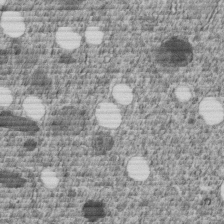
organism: C. elegans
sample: C. elegans embryo early stage